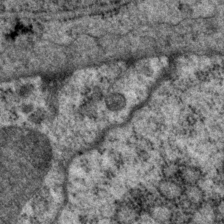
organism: P. pacificus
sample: Pharynx